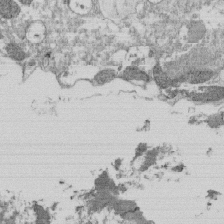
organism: Tetrahymena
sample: Cilia in tetrahymena